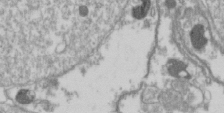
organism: Drosophila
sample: Cell division; meiosis; drosophila spermatocytes